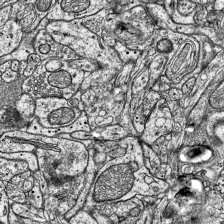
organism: Mouse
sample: Visual Cortex